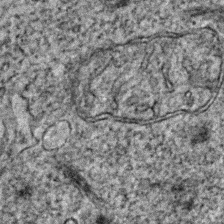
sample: Trachea